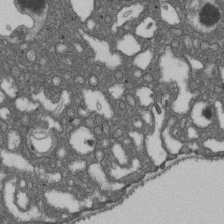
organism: Drosophila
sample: Nephrocyte